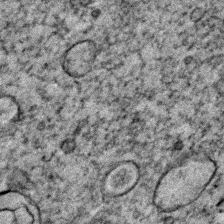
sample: Trachea